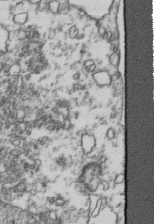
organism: Human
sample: Activated Jurkat CD4+ T cells